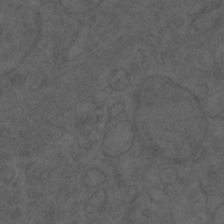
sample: Trachea